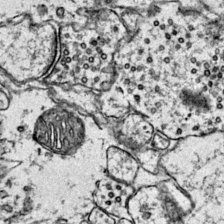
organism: Mouse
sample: Primary visual cortex